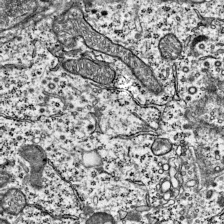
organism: Mouse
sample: Visual Cortex